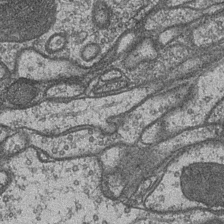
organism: Drosophila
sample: Optic medulla